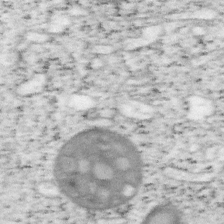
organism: Mouse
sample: OT-I killer T cells with ID8 ovarian cancer cells